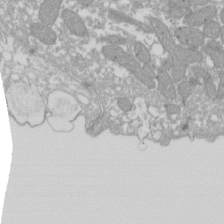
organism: Xenopus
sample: Cilia; centrioles in frog embryo cells